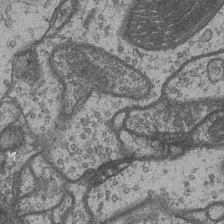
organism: Drosophila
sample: Optic medulla